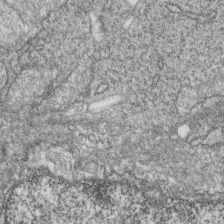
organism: Zebrafish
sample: Cilia; retinal pigment epithelium